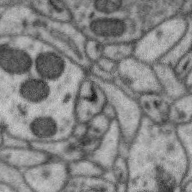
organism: Zebra finch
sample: Brain